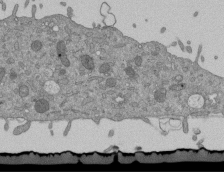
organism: Mouse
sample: ED-1 cell nuclei; centrioles